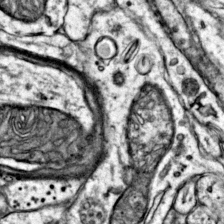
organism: Mouse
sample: Primary visual cortex